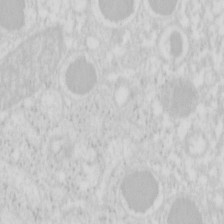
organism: Mouse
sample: Pancreas